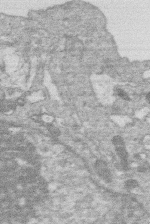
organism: Human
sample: Macrophage cells